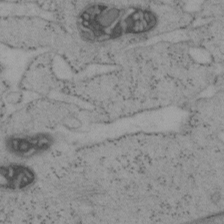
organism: Mouse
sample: OT-I killer T cells with ID8 ovarian cancer cells